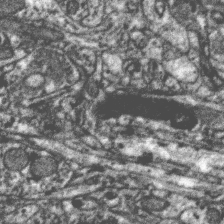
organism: Zebra finch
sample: Brain